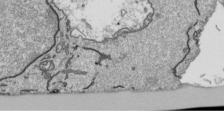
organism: Human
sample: Mitochondria in HCT116 cells